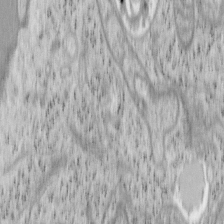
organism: Human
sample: HeLa cells